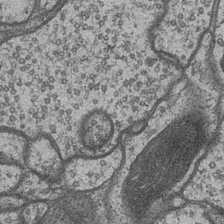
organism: Drosophila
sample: Optic medulla